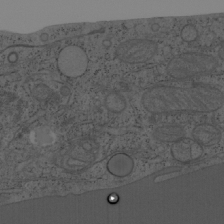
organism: Human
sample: HeLa cells